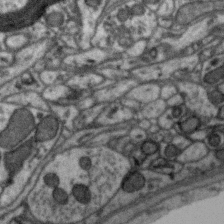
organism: Zebra finch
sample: Brain